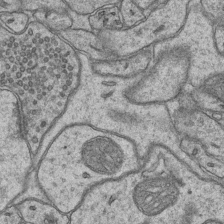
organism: Mouse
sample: CA1 Hippocampus